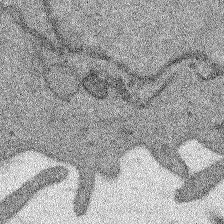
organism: Human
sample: HeLa cells